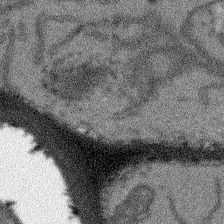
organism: Arabidopsis thaliana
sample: Root tip